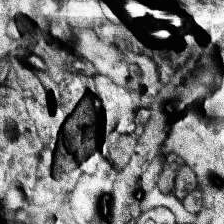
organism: Human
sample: Temporal Lobe